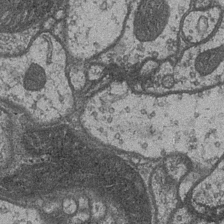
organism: Drosophila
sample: Optic medulla